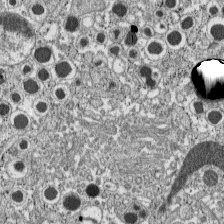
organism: C57BL Mouse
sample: Pancreatic islet